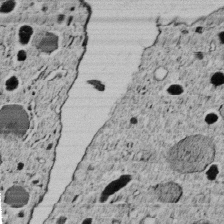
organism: C. elegans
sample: C. elegans embryo early stage